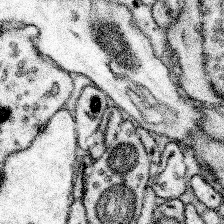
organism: Mouse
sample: Somatosensory cortex neuropil